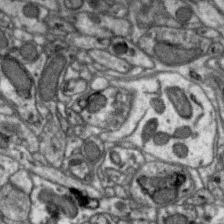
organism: Zebra finch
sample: Brain